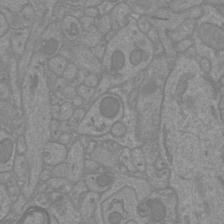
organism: Mouse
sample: Cortical neurons